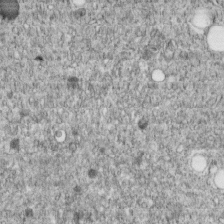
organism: C. elegans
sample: C. elegans embryo early stage